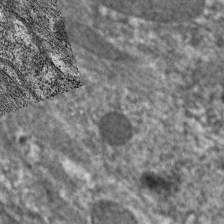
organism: C. elegans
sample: Pharynx